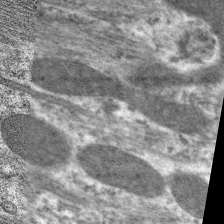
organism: C. elegans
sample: Pharynx